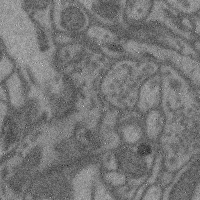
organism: Mouse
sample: Cerebral cortex